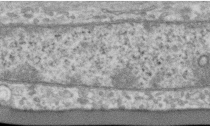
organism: Human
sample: Centriole in RPE cells